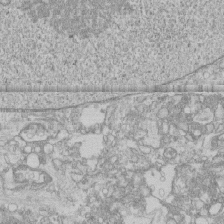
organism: Human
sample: CRL-1474